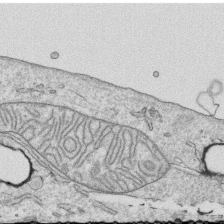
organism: Human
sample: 1205lu cells